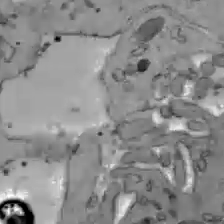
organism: C57BL Mouse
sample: Liver